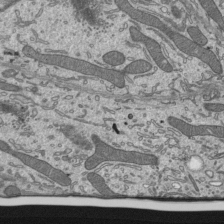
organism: Mouse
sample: Mouse epididymis efferent ductule cilia